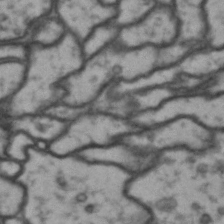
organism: Drosophila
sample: Brain